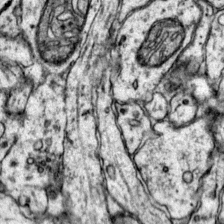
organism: Mouse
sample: Primary visual cortex